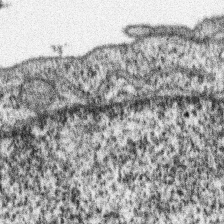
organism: Human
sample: HeLa cells